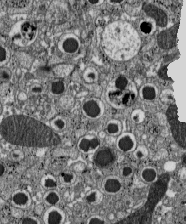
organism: C57BL Mouse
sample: Pancreatic islet